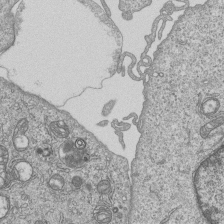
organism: Human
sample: MDA-MB-231 cells